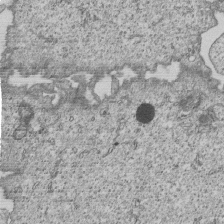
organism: Human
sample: MDA-MB-231 cells